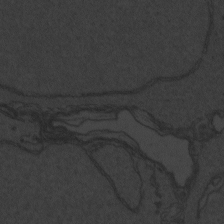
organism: Zebrafish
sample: Macrophage infected with Toxoplasma gondii